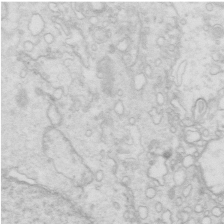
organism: Mouse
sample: Multiciliated cells